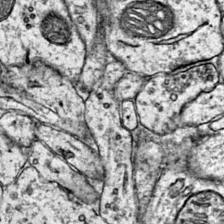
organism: Mouse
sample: Primary visual cortex